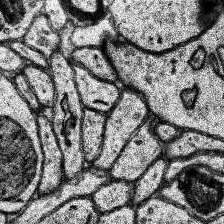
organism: Human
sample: Temporal Lobe